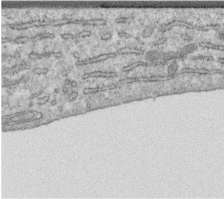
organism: Human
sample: Centriole in RPE cells